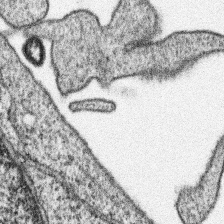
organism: Human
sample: HeLa cells